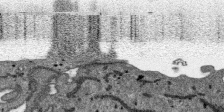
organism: Human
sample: Lung epithelial cells, uninfected (mock) control